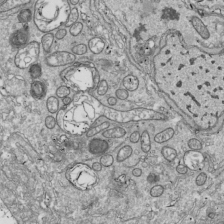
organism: Drosophila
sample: Cell division; meiosis; drosophila spermatocytes